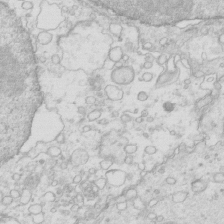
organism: Mouse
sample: Multiciliated cells